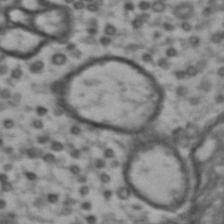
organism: Drosophila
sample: Brain